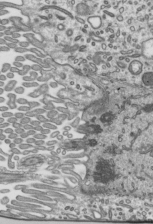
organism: Mouse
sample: Mouse epididymis efferent ductule cilia